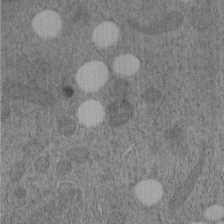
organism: C. elegans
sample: C. elegans embryo early stage